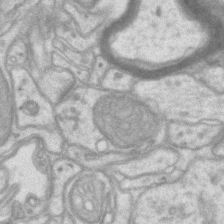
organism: Mouse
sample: CA1 Hippocampus